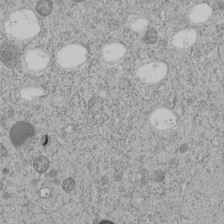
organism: C. elegans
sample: C. elegans embryo early stage